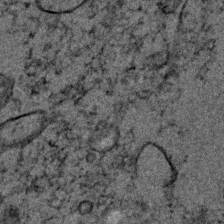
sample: Trachea